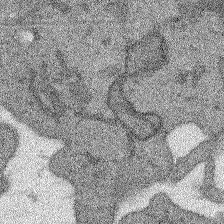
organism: Human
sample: HeLa cells